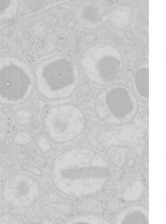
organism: Mouse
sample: Pancreas